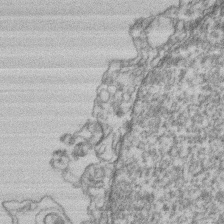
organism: Mouse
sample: T cell stromal cell synapse